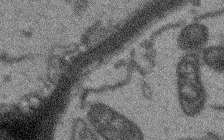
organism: Arabidopsis thaliana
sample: Root tip